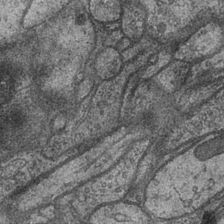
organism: Drosophila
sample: Optic medulla